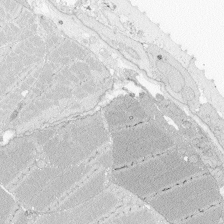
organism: Zebrafish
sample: Whole-Brain